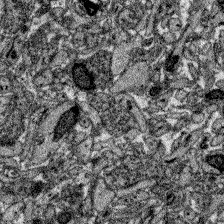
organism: Zebrafish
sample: Larval olfactory bulb